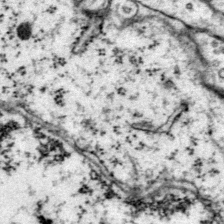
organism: Mouse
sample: Primary visual cortex